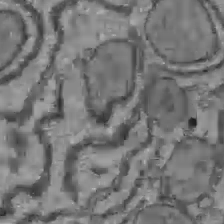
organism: C57BL Mouse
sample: Liver